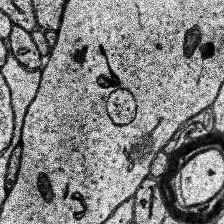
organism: Human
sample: Temporal Lobe